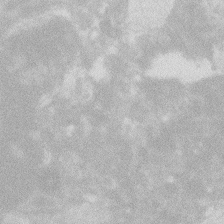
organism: Zebrafish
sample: Macrophage